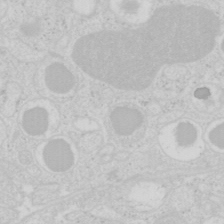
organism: Mouse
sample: Pancreas